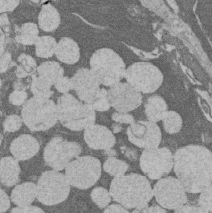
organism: Rat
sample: Salivary granule